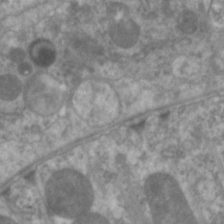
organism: C. elegans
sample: Pharynx